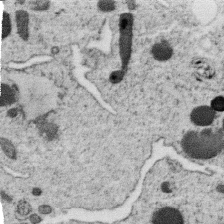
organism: C. elegans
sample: C. elegans oocyte; sperm cells